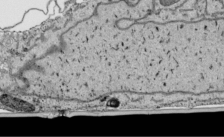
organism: Human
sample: Mitochondria in HCT116 cells